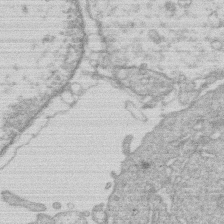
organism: Human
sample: Macrophage cells